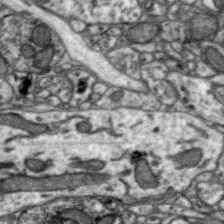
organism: Zebra finch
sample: Brain